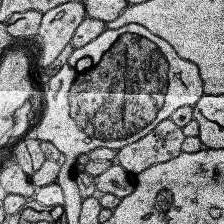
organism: Human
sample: Temporal Lobe